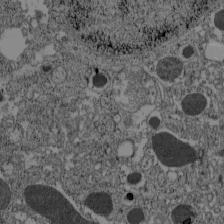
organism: C57BL Mouse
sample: Pancreatic islet